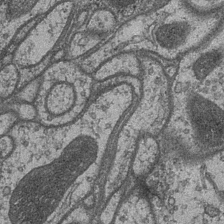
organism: Drosophila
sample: Optic medulla